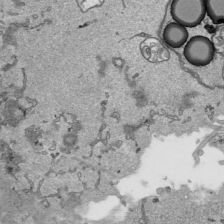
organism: Human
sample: Mitochondria in HCT116 cells